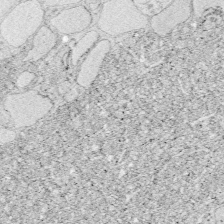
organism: Zebrafish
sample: Whole-Brain